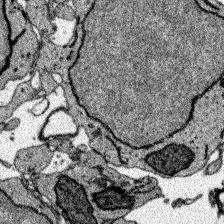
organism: Zebrafish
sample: Larval olfactory bulb